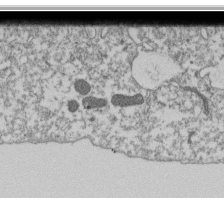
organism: Dictyostelium discoideum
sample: Dictyostelium multivesicular bodies